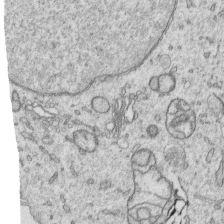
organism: Human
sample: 1205lu cells